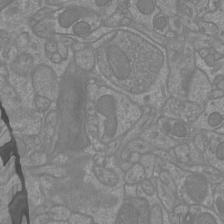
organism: Mouse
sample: Cortical neurons